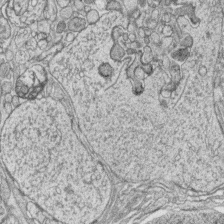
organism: Zebrafish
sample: synaptic ribbons in rod cells and cone cells